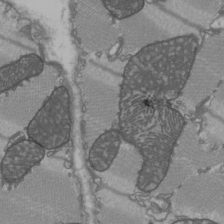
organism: C57BL Mouse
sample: Heart